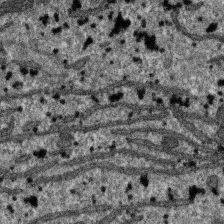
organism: Human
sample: Lung epithelial cells infected with SARS-CoV-2